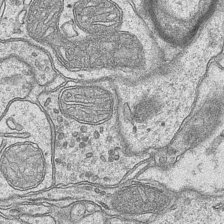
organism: Mouse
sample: CA1 Hippocampus